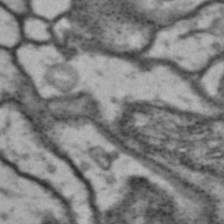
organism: Drosophila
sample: Brain